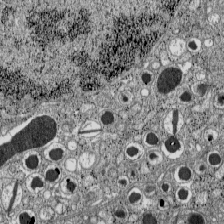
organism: C57BL Mouse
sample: Pancreatic islet